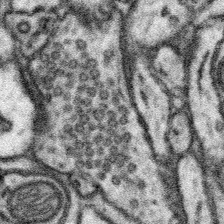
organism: Mouse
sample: Somatosensory cortex neuropil